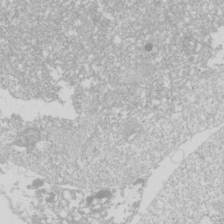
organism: Drosophila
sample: Cell division; meiosis; drosophila spermatocytes